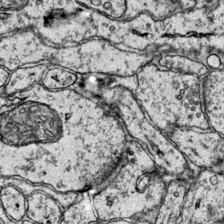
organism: Mouse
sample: Primary visual cortex